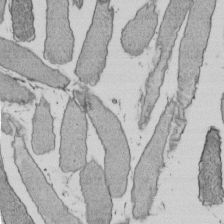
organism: E. coli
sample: Bacterial nucleoid